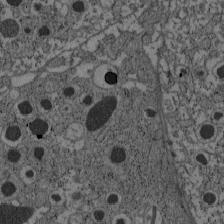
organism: C57BL Mouse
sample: Pancreatic islet